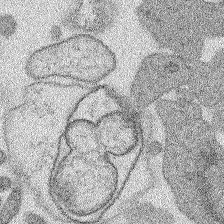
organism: Human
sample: HeLa cells